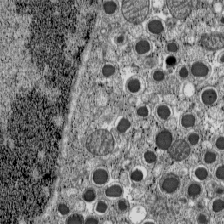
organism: C57BL Mouse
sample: Pancreatic islet